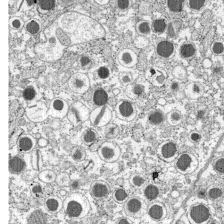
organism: C57BL Mouse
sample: Pancreatic islet